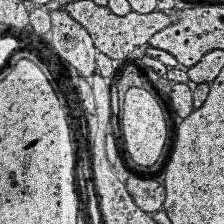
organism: Human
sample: Temporal Lobe